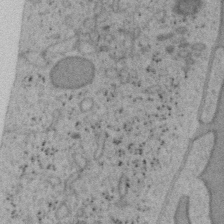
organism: Human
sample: HeLa cells